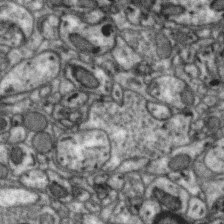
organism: Zebra finch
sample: Brain